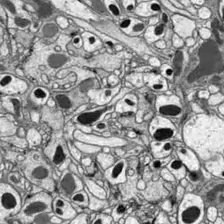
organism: Drosophila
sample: Optic lobe